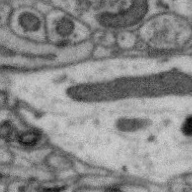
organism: Zebra finch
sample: Brain